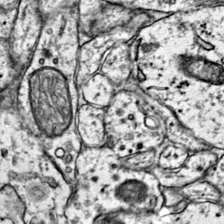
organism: Mouse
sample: Primary visual cortex